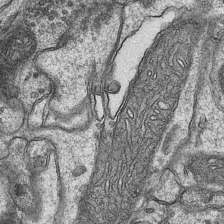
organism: Mouse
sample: CA1 Hippocampus